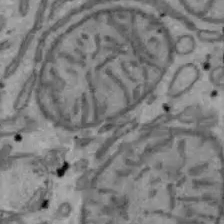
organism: Mouse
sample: Liver